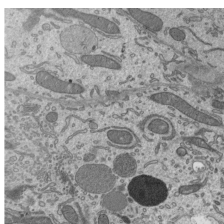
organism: Mouse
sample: Mouse epididymis efferent ductule cilia